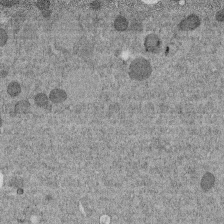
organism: C. elegans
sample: C. elegans embryo early stage